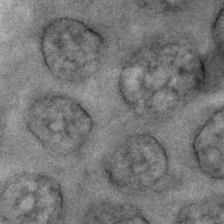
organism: C. elegans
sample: C. elegans embryo